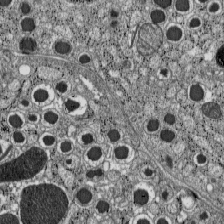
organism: C57BL Mouse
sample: Pancreatic islet